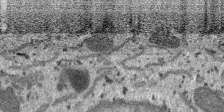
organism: Human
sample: Lung epithelial cells infected with SARS-CoV-2